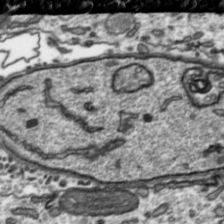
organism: Toxoplasma gondii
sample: Parasites in a vacuole inside a host cell